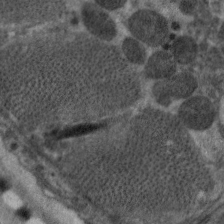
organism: C. elegans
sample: Pharynx